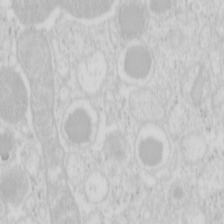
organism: Mouse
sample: Pancreas